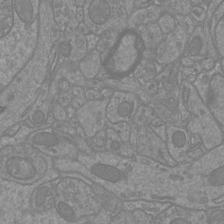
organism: Mouse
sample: Cortical neurons